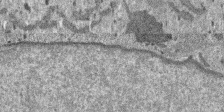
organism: Human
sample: Lung epithelial cells infected with SARS-CoV-2